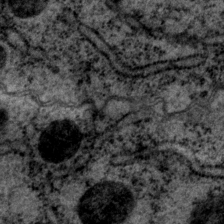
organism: P. pacificus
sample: Pharynx